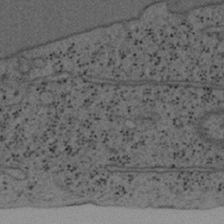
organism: Human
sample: HeLa cells